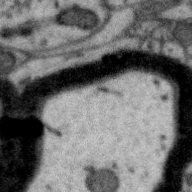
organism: Zebra finch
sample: Brain